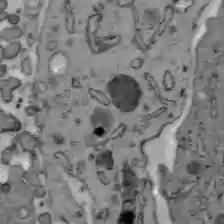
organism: C57BL Mouse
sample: Liver